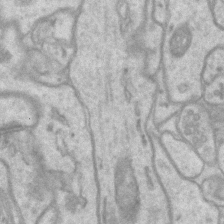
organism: Mouse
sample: CA1 Hippocampus